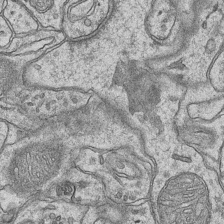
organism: Mouse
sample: CA1 Hippocampus